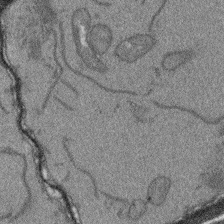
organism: Arabidopsis thaliana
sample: Root tip